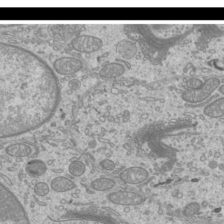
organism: Mouse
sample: Cilia; mouse epididymis